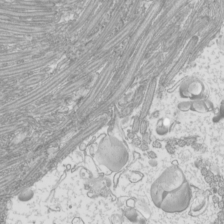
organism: Mouse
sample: Cilia; mouse epididymis